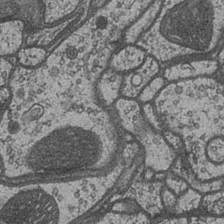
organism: Drosophila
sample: Optic medulla